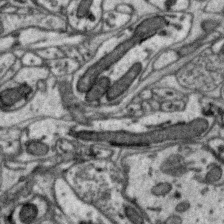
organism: Zebra finch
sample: Brain